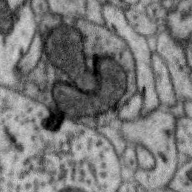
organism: Zebra finch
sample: Brain